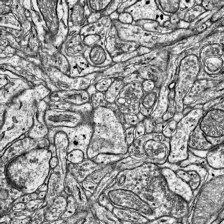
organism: Mouse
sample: Visual Cortex